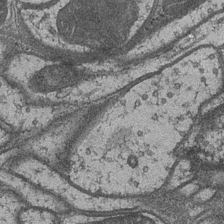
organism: Drosophila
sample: Optic medulla